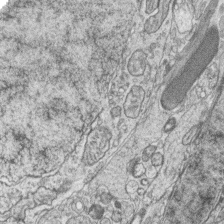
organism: Zebrafish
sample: synaptic ribbons in rod cells and cone cells